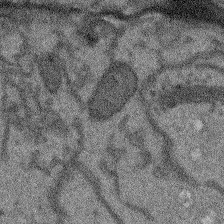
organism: Arabidopsis thaliana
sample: Root tip